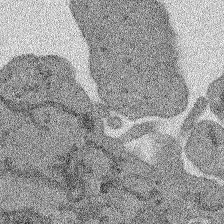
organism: Human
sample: HeLa cells